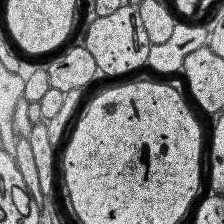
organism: Human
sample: Temporal Lobe